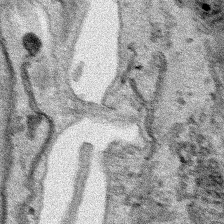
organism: Human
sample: Mitochondria in HCT116 cells